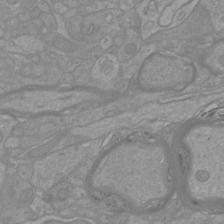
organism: Mouse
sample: Cortical neurons